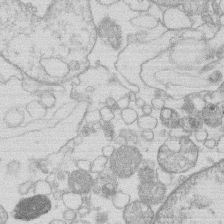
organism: Human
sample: Macrophage cells